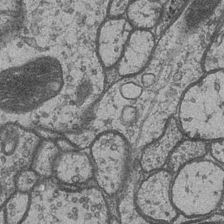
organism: Drosophila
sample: Optic medulla